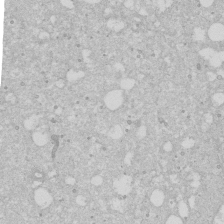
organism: Human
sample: Caco-2 cells